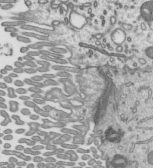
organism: Mouse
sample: Mouse epididymis efferent ductule cilia